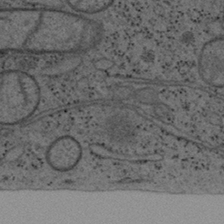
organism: Human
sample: HeLa cells